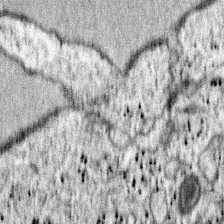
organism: Human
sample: HeLa cells